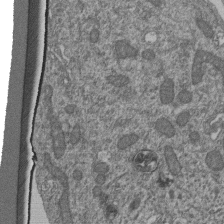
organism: Human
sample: Retinal organoid Rod and Cone cells